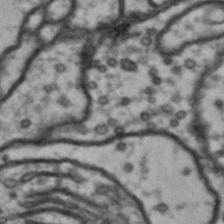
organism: Drosophila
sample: Brain